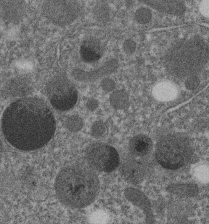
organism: C. elegans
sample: C. elegans embryo early stage